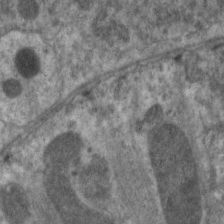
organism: C. elegans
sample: Pharynx